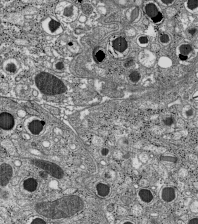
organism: C57BL Mouse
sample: Pancreatic islet